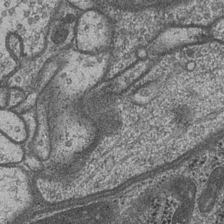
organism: Drosophila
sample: Optic medulla